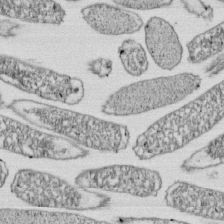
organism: E. coli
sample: Bacterial nucleoid